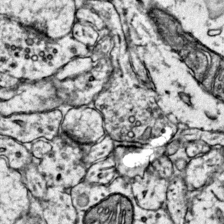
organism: Mouse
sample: Primary visual cortex